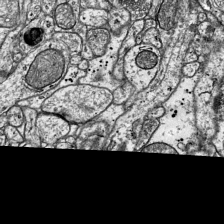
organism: Mouse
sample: Visual Cortex